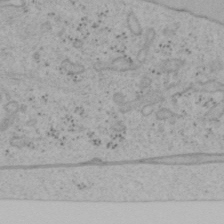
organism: Human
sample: HeLa cells